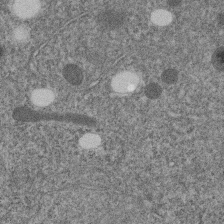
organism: C. elegans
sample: C. elegans embryo early stage